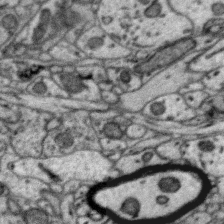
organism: Zebra finch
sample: Brain